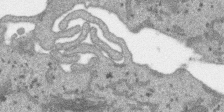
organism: Human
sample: Lung epithelial cells infected with SARS-CoV-2